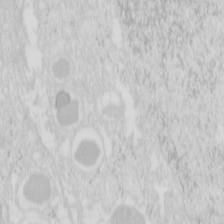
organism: Mouse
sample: Pancreas